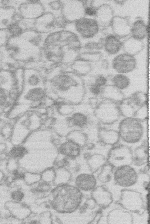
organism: Human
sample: Macrophage cells